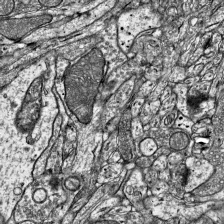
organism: Mouse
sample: Visual Cortex